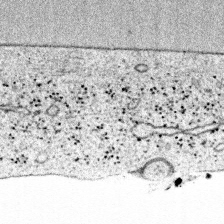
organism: Human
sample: HeLa cells